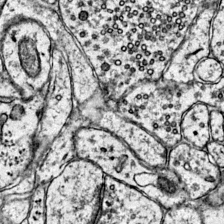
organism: Mouse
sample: Primary visual cortex